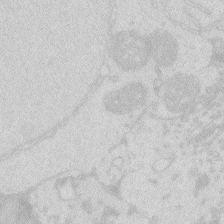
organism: Zebrafish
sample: Macrophage